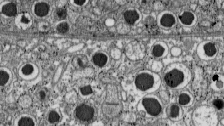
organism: C57BL Mouse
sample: Pancreatic islet